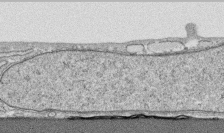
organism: Human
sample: CRL-1474